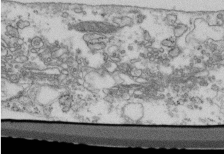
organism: Mouse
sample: Cilia; retinal pigment epithelium